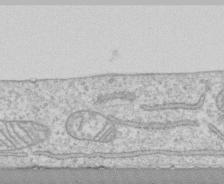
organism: Human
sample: CRL-1474